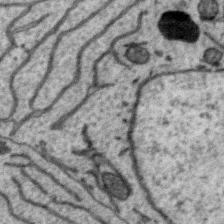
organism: Zebra finch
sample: Brain